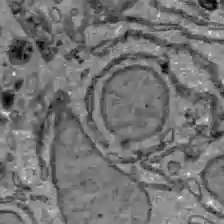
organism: C57BL Mouse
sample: Liver